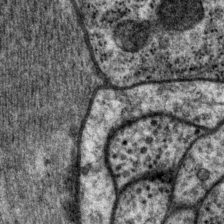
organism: P. pacificus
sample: Pharynx